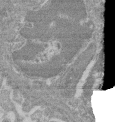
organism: Mouse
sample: Glomerulus